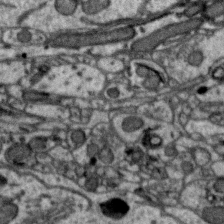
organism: Zebra finch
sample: Brain